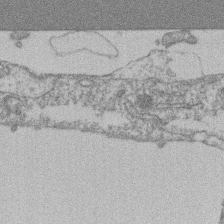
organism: Mouse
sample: T cell stromal cell synapse